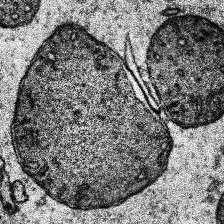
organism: Human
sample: Temporal Lobe